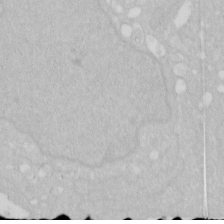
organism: Human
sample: HIV infected U937 cells